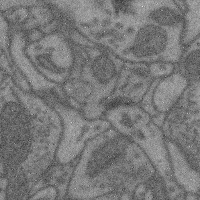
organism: Mouse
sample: Cerebral cortex